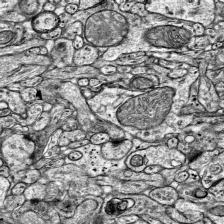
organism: Mouse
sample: Visual Cortex